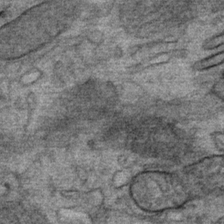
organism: Mouse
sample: Mouse Salivary gland